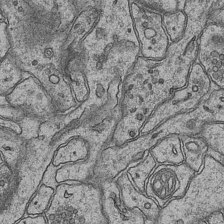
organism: Mouse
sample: CA1 Hippocampus